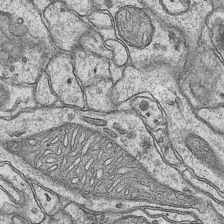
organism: Mouse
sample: CA1 Hippocampus